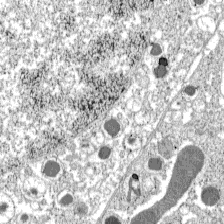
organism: C57BL Mouse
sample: Pancreatic islet